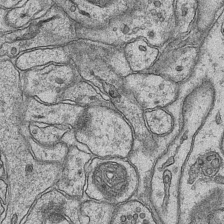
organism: Mouse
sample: CA1 Hippocampus